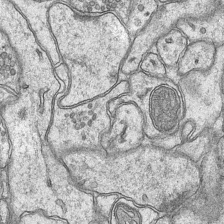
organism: Mouse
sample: CA1 Hippocampus